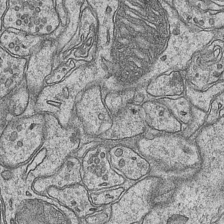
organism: Mouse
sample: CA1 Hippocampus